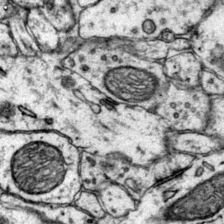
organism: Mouse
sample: Primary visual cortex